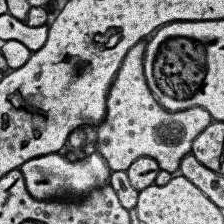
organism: Human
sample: Temporal Lobe